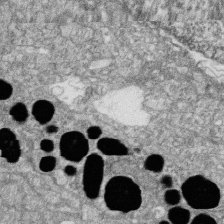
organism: Zebrafish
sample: Cilia; retinal pigment epithelium